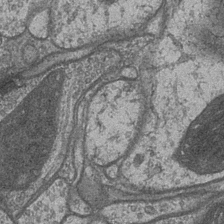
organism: Drosophila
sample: Optic medulla